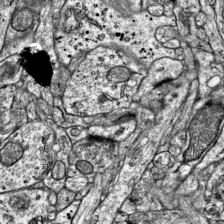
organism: Mouse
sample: Visual Cortex